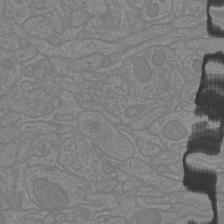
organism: Mouse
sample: Cortical neurons